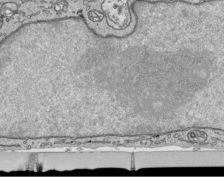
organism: Human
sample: Mitochondria in HCT116 cells